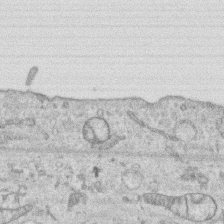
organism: Human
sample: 1205lu cells